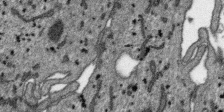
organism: Human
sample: Lung epithelial cells, uninfected (mock) control